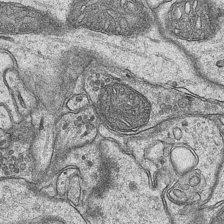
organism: Mouse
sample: CA1 Hippocampus